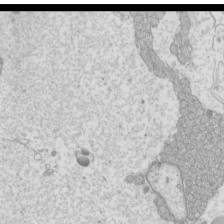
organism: Mouse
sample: Cilia; mouse epididymis